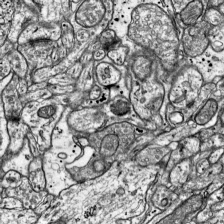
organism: Mouse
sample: Visual Cortex